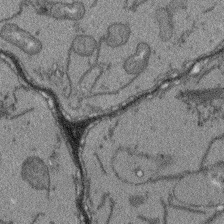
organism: Arabidopsis thaliana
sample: Root tip